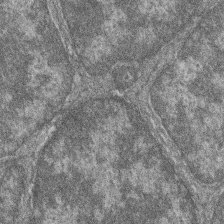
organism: Zebrafish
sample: Cilia; retinal pigment epithelium